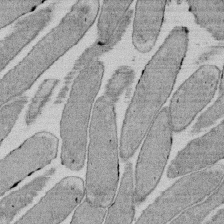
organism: E. coli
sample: Bacterial nucleoid